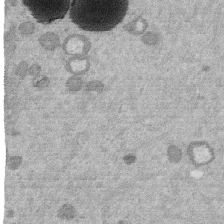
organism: Mouse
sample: Dividing mouse embryo 1 cell stage